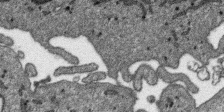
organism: Human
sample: Lung epithelial cells infected with SARS-CoV-2